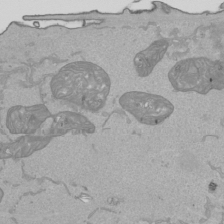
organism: Human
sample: Mitochondria in HCT116 cells